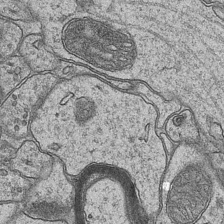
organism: Mouse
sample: CA1 Hippocampus